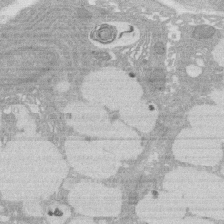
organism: Rat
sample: Salivary granule